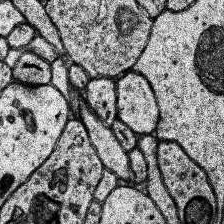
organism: Human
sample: Temporal Lobe